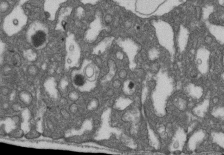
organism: Drosophila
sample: Nephrocyte